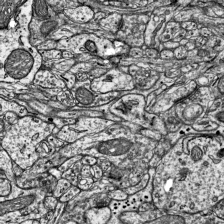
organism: Mouse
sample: Visual Cortex